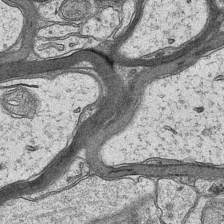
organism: Mouse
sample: CA1 Hippocampus